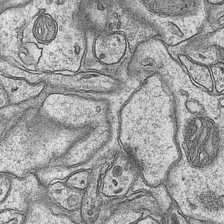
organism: Mouse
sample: CA1 Hippocampus